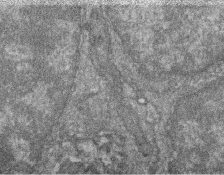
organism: Zebrafish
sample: Cilia; retinal pigment epithelium